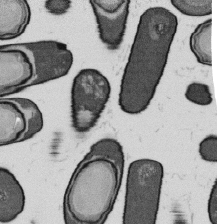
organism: B. subtilis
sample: Bacterial spore